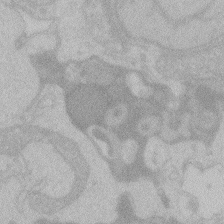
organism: Zebrafish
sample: Macrophage infected with Toxoplasma gondii